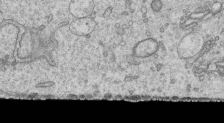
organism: Human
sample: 1205lu cells